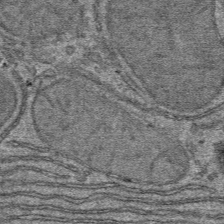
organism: Mouse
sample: Mouse hepatocytes